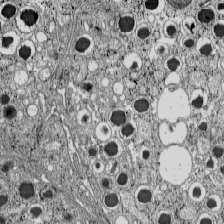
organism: C57BL Mouse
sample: Pancreatic islet